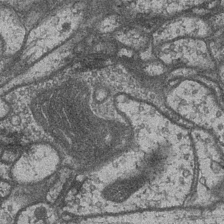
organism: Drosophila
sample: Optic medulla